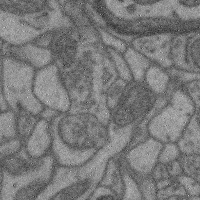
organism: Mouse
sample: Cerebral cortex